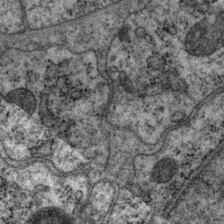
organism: P. pacificus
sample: Pharynx